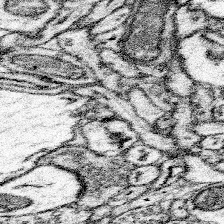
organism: Mouse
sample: Somatosensory cortex neuropil